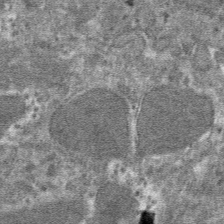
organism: Mouse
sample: Mouse hepatocytes